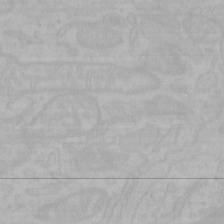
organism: Mouse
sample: Choroid plexus